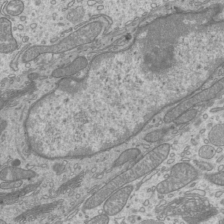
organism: Mouse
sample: Cilia; mouse epididymis